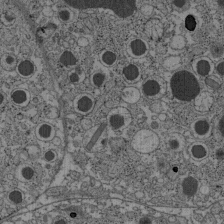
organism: C57BL Mouse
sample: Pancreatic islet